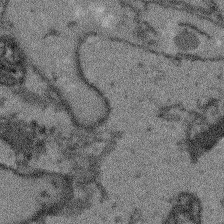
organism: Arabidopsis thaliana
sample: Root tip